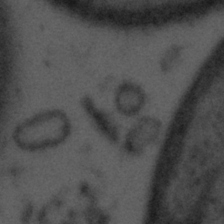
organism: Tuwongella immobilis